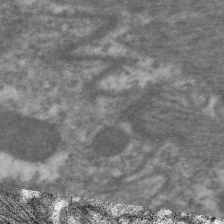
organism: C. elegans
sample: Pharynx